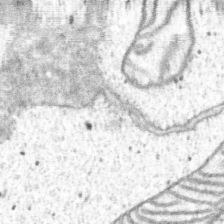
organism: Human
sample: HeLa cells